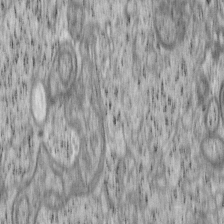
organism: Human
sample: HeLa cells